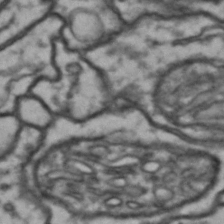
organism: Drosophila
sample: Brain